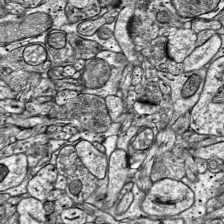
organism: Mouse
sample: Visual Cortex